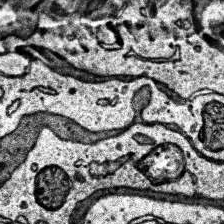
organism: Human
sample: Temporal Lobe